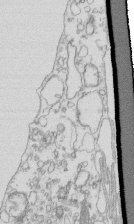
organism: Mouse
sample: Macrophages